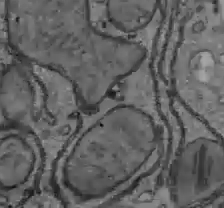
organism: C57BL Mouse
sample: Liver